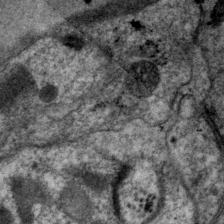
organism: P. pacificus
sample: Pharynx